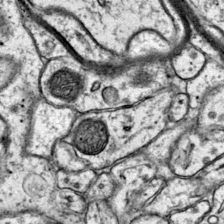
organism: Mouse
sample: Primary visual cortex